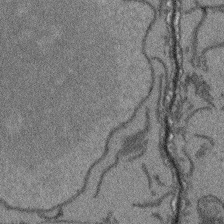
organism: Arabidopsis thaliana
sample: Root tip